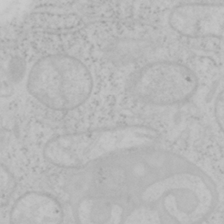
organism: Mouse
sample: OT-I killer T cells with ID8 ovarian cancer cells